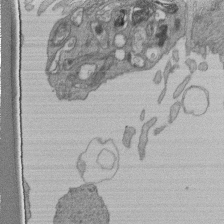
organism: Human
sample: Retinal organoid Rod and Cone cells